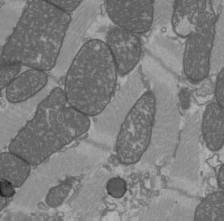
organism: C57BL Mouse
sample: Heart